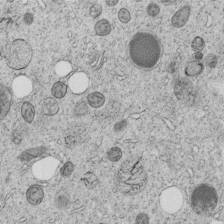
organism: C. elegans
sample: C. elegans embryo early stage